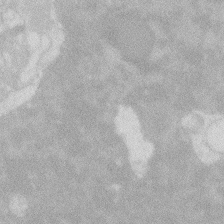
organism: Zebrafish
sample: Macrophage